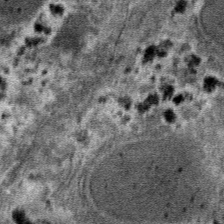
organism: Mouse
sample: Mouse hepatocytes